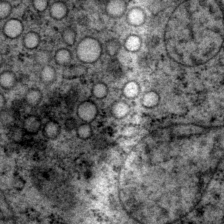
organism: P. pacificus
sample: Pharynx